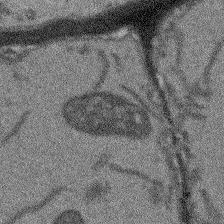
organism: Arabidopsis thaliana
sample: Root tip